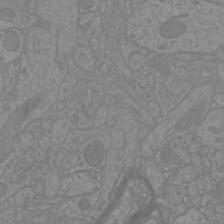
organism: Mouse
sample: Cortical neurons